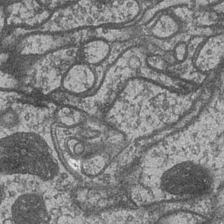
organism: Drosophila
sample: Optic medulla